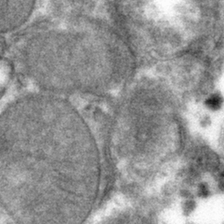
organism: Mouse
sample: Mouse hepatocytes